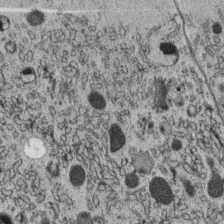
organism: C. elegans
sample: C. elegans oocyte; sperm cells